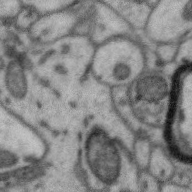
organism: Zebra finch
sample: Brain